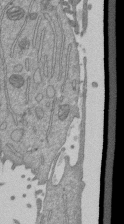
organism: Mouse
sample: ED-1 cell nuclei; centrioles